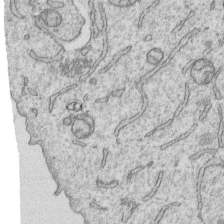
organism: Human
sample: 1205lu cells